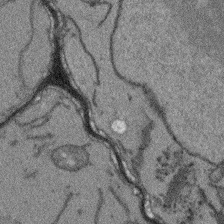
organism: Arabidopsis thaliana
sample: Root tip